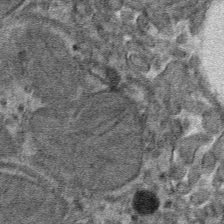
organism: Mouse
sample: Mouse hepatocytes